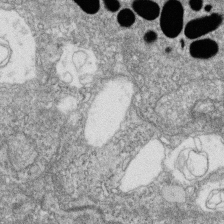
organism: Zebrafish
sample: Cilia; retinal pigment epithelium